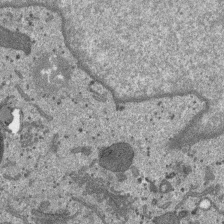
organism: Human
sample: Lung epithelial cells infected with SARS-CoV-2